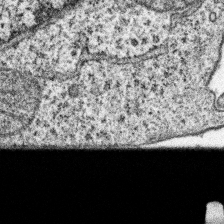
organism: Human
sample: HeLa cells